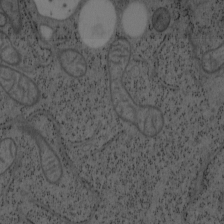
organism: Mouse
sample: OT-I killer T cells with ID8 ovarian cancer cells